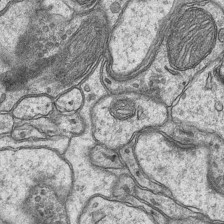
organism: Mouse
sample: CA1 Hippocampus